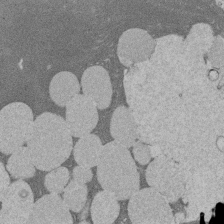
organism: Rat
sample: Salivary granule